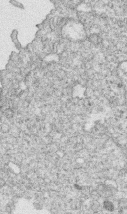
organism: Human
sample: HeLa cell HIV synapse